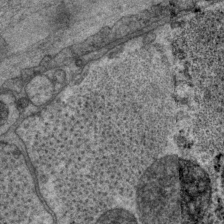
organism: P. pacificus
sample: Pharynx